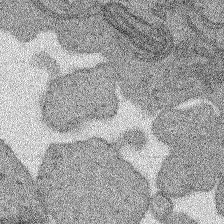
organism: Human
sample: HeLa cells